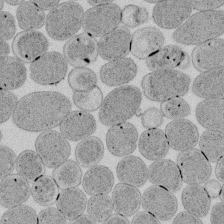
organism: E. coli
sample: Bacterial nucleoid